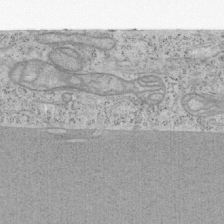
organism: Human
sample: HeLa cells